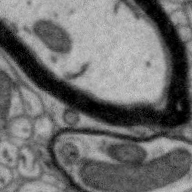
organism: Zebra finch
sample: Brain